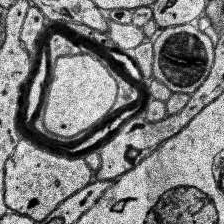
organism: Human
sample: Temporal Lobe